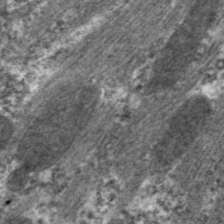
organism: C. elegans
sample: Pharynx